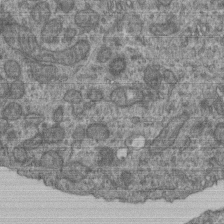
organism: Human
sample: Retinal organoid Rod and Cone cells